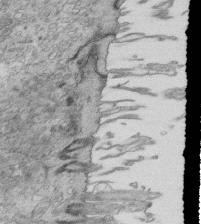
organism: Mouse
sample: Multiciliated cells